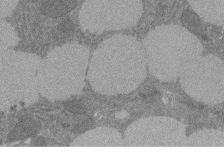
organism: Rat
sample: Salivary granule